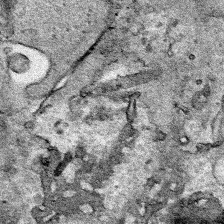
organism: Human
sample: Mitochondria in HCT116 cells